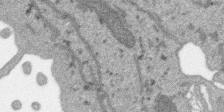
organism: Human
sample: Lung epithelial cells infected with SARS-CoV-2